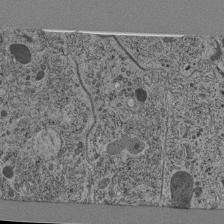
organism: C. elegans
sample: C. elegans pharynx